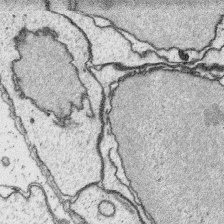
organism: Platynereis dumerilii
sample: Parapodia